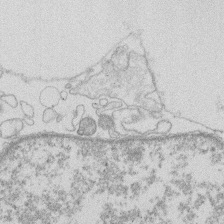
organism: Human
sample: Macrophage cells